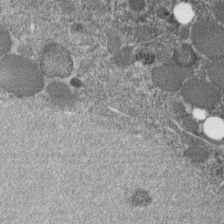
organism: C. elegans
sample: C. elegans embryo early stage